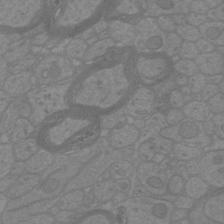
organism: Mouse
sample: Cortical neurons